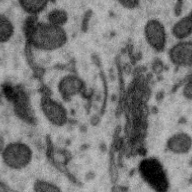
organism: Zebra finch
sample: Brain